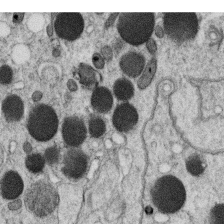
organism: C. elegans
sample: C. elegans oocyte; sperm cells